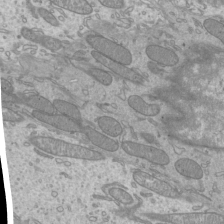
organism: Mouse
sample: Cilia; mouse epididymis